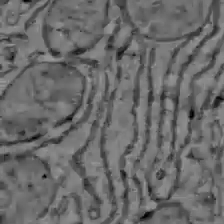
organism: C57BL Mouse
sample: Liver